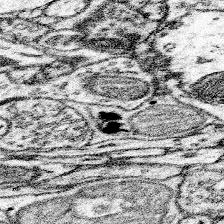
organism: Mouse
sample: Somatosensory cortex neuropil